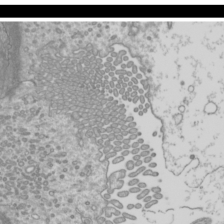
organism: Mouse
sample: Cilia; mouse epididymis